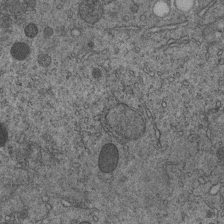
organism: C. elegans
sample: C. elegans embryo early stage